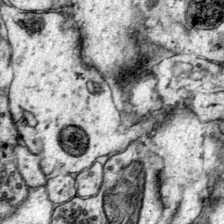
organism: Mouse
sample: Primary visual cortex